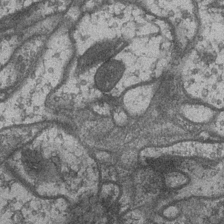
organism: Drosophila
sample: Optic medulla